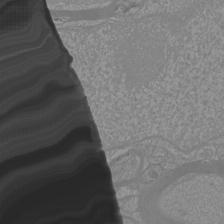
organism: Mouse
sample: Cortical neurons